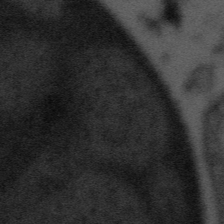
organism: Tuwongella immobilis